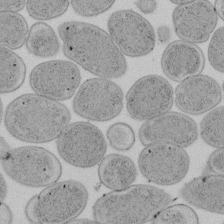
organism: E. coli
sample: Bacterial nucleoid